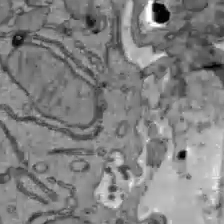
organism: C57BL Mouse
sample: Liver